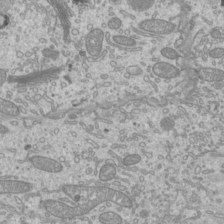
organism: Mouse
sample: Cilia; mouse epididymis